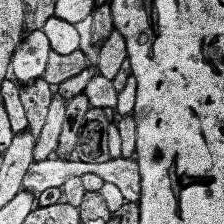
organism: Human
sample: Temporal Lobe